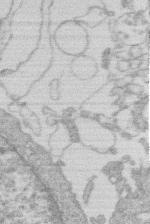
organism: Human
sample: Macrophage cells